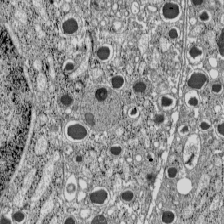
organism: C57BL Mouse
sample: Pancreatic islet